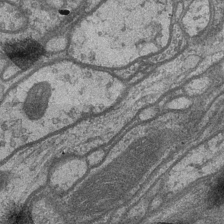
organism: Drosophila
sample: Optic medulla